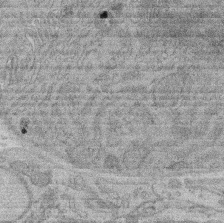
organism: Rat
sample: Salivary granule